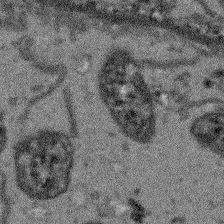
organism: Arabidopsis thaliana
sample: Root tip